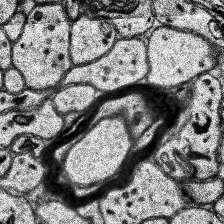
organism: Human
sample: Temporal Lobe